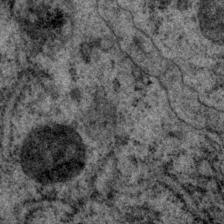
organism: P. pacificus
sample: Pharynx